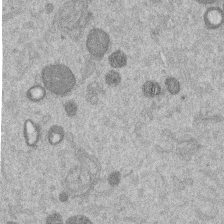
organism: Mouse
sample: Dividing mouse embryo 1 cell stage